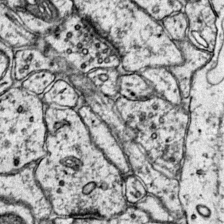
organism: Mouse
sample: Primary visual cortex